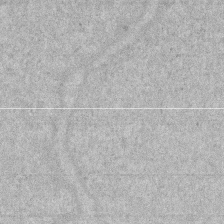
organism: Human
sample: HIV infected U937 cells